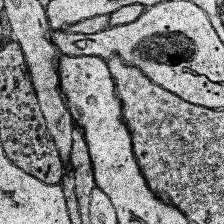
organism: Human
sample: Temporal Lobe